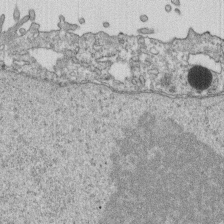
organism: Human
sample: HeLa cell HIV synapse